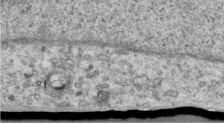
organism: Human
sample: Centriole in RPE cells